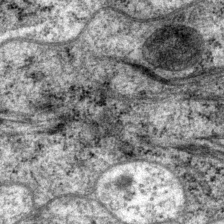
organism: P. pacificus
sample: Pharynx